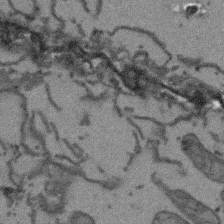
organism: Arabidopsis thaliana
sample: Root tip